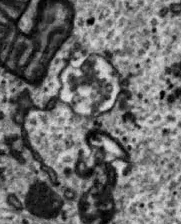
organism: Human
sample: HeLa cells